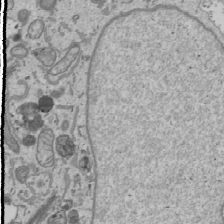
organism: Human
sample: Mitochondria in U2OS cells